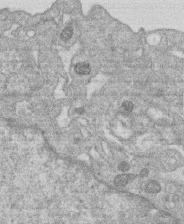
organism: Human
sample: Macrophage cells